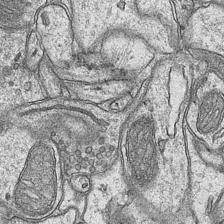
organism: Mouse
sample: CA1 Hippocampus